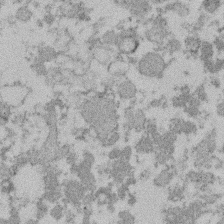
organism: Mouse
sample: Dividing mouse embryo 1 cell stage